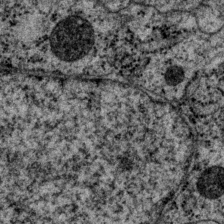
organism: P. pacificus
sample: Pharynx